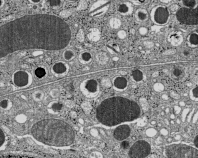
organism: C57BL Mouse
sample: Pancreatic islet